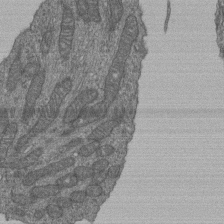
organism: Human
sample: Retinal organoid Rod and Cone cells